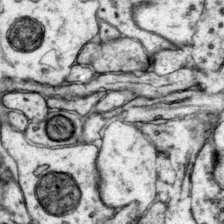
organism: Mouse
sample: Primary visual cortex